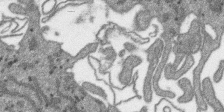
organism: Human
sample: Lung epithelial cells infected with SARS-CoV-2